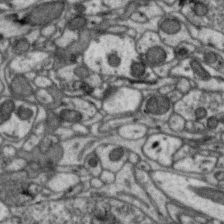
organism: Zebra finch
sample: Brain